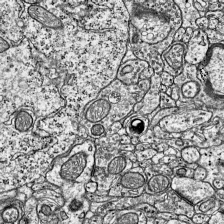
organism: Mouse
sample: Visual Cortex